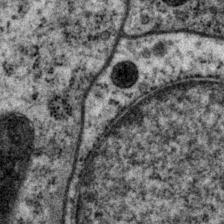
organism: P. pacificus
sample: Pharynx